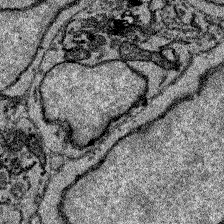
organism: Zebrafish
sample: Larval olfactory bulb